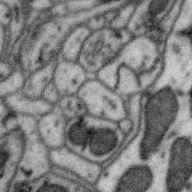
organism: Zebra finch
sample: Brain